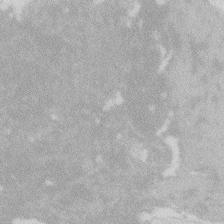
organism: Zebrafish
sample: Macrophage